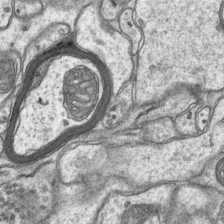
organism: Mouse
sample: CA1 Hippocampus